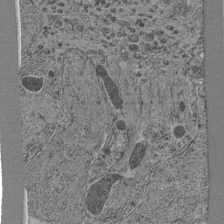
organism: C. elegans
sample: C. elegans pharynx